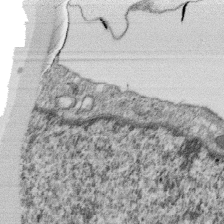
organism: African green monkey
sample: Vero E6 cells infected with SARS-CoV-2